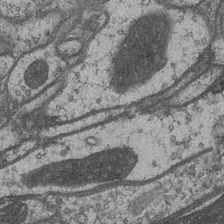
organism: Drosophila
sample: Optic medulla